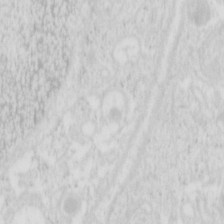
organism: Mouse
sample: Pancreas